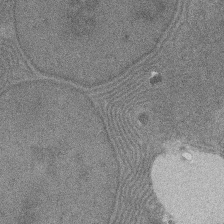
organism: Rat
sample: Salivary granule